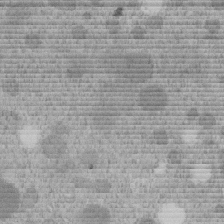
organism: C. elegans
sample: C. elegans embryo early stage